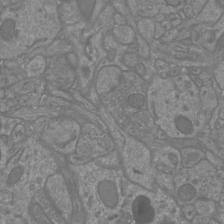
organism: Mouse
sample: Cortical neurons